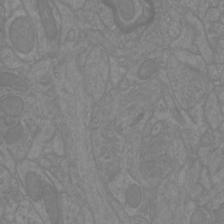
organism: Mouse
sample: Cortical neurons